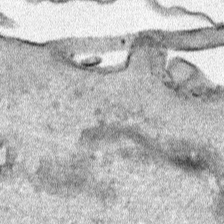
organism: Human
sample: Mitochondria in HCT116 cells